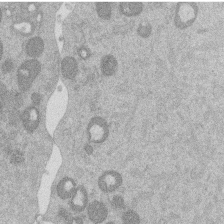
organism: Mouse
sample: Dividing mouse embryo 1 cell stage